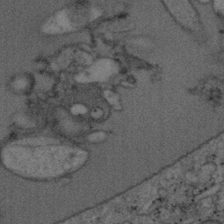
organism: Human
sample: HeLa cells